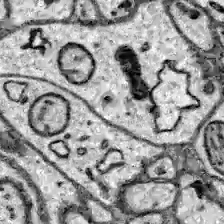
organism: Zebrafish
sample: Brain